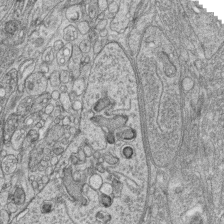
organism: Zebrafish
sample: synaptic ribbons in rod cells and cone cells